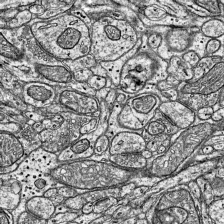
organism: Mouse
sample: Visual Cortex